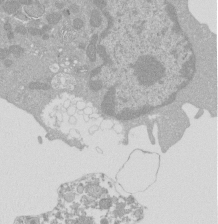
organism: Mouse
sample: Activated Pmel transgenic CD8+ T Cells